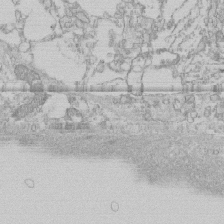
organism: Human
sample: CRL-1474